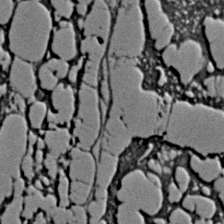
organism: C. elegans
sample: C. elegans embryo